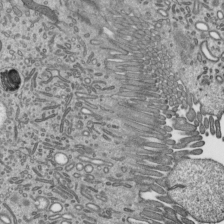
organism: Mouse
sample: Mouse epididymis efferent ductule cilia